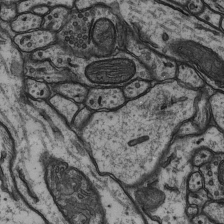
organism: Rat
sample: Hippocampus